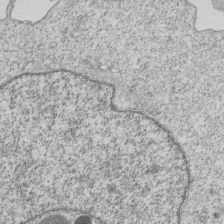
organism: Human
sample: MDA-MB-231 cells